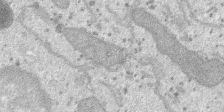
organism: Human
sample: Lung epithelial cells infected with SARS-CoV-2